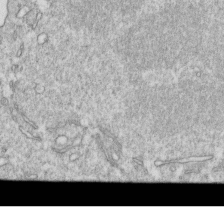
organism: Mouse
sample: Activated OT-1 CD8+ T cells